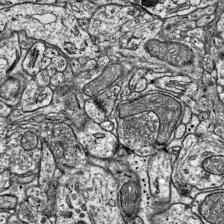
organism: Mouse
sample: Visual Cortex